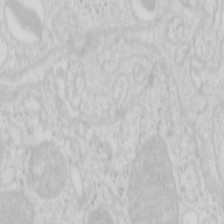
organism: Mouse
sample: Pancreas